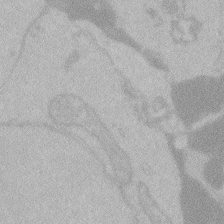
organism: Zebrafish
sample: Macrophage infected with Toxoplasma gondii